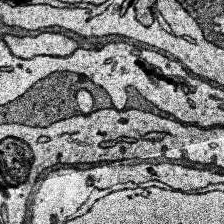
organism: Human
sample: Temporal Lobe